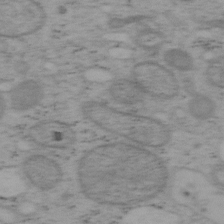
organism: Mouse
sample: OT-I killer T cells with ID8 ovarian cancer cells